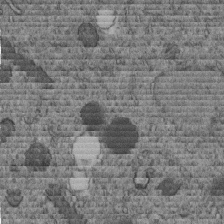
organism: C. elegans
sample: C. elegans embryo early stage